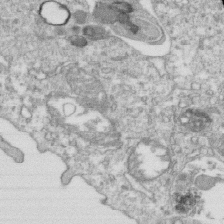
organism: Mouse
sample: Activated OT-1 CD8+ T cells